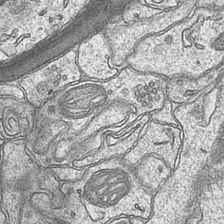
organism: Mouse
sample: CA1 Hippocampus